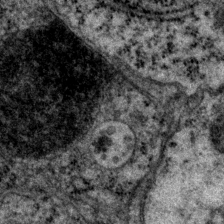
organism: P. pacificus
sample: Pharynx